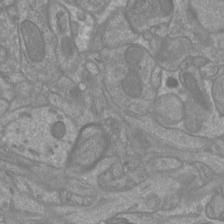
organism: Mouse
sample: Cortical neurons